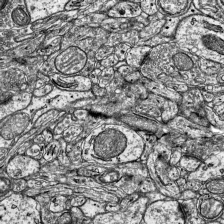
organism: Mouse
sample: Visual Cortex